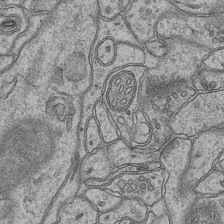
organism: Mouse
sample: CA1 Hippocampus